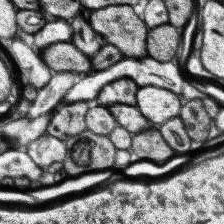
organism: Human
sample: Temporal Lobe